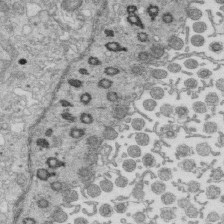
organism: Mouse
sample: Multiciliated cells